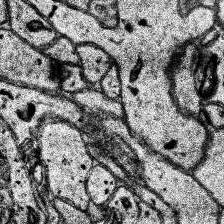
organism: Human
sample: Temporal Lobe